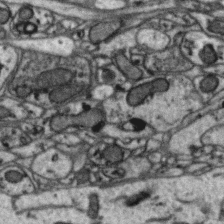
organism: Zebra finch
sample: Brain